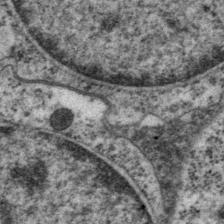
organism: P. pacificus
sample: Pharynx